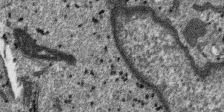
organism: Human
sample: Lung epithelial cells infected with SARS-CoV-2